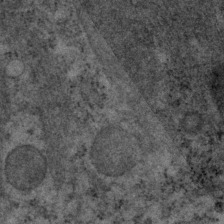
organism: P. pacificus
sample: Pharynx